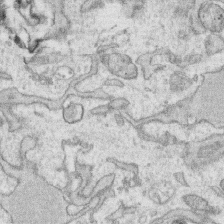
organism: Human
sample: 1205lu cells